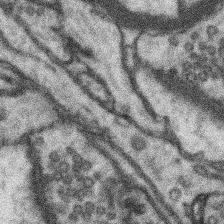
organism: Mouse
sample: Somatosensory cortex neuropil